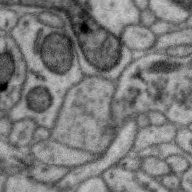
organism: Zebra finch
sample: Brain